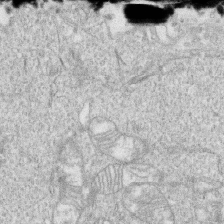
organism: Human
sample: HeLa cell HIV synapse